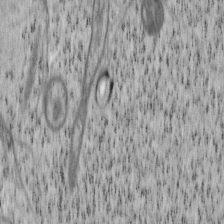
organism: Human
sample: HeLa cells